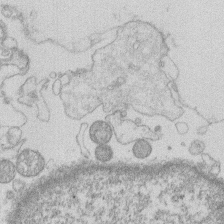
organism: Human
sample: Macrophage cells